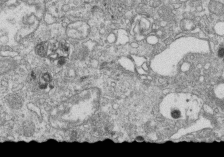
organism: Human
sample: HeLa cell HIV synapse